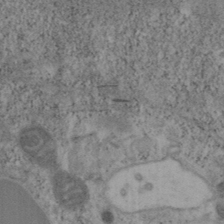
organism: Mouse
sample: OT-I killer T cells with ID8 ovarian cancer cells